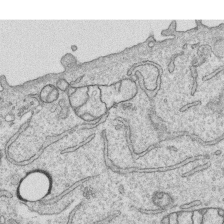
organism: Human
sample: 1205lu cells